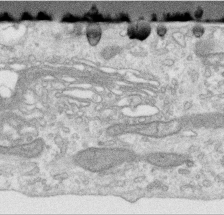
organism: Human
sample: Centriole in RPE cells